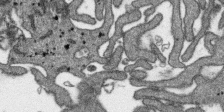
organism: Human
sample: Lung epithelial cells, uninfected (mock) control